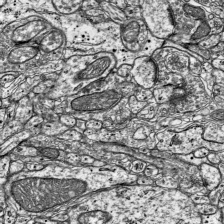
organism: Mouse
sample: Visual Cortex